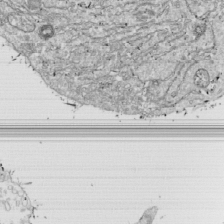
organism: Drosophila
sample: Cell division; meiosis; drosophila spermatocytes